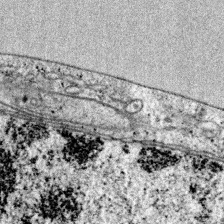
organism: Human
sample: HeLa cells